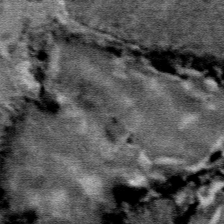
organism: Mouse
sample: Mouse Salivary gland